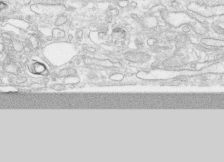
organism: Human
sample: CRL-1474